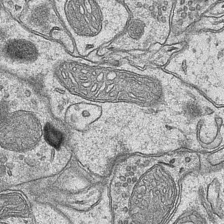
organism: Mouse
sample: CA1 Hippocampus